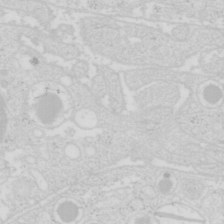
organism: Mouse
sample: Pancreas